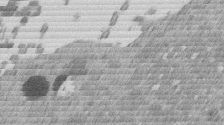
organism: Mouse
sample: Dividing mouse embryo 1 cell stage